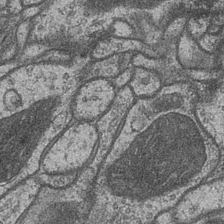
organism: Drosophila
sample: Optic medulla